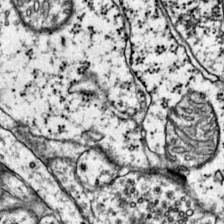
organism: Mouse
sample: Primary visual cortex